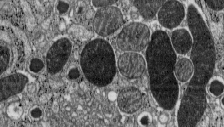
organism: C57BL Mouse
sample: Pancreatic islet